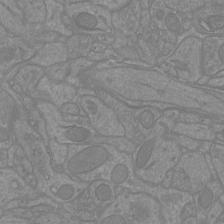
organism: Mouse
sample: Cortical neurons